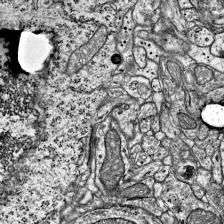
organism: Mouse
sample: Visual Cortex